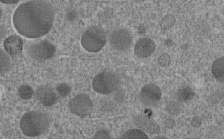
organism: C. elegans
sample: C. elegans embryo early stage